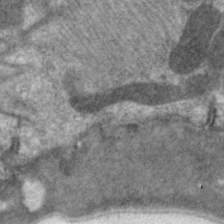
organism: C. elegans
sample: Pharynx